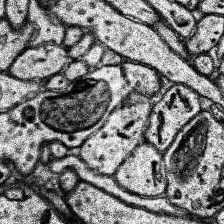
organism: Human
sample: Temporal Lobe